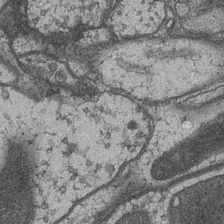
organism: Drosophila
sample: Optic medulla